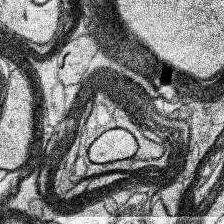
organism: Human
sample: Temporal Lobe